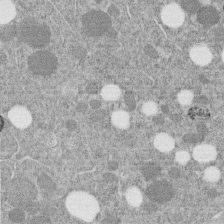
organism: C. elegans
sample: C. elegans embryo early stage